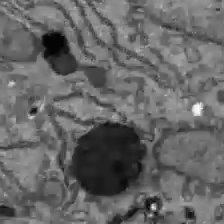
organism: C57BL Mouse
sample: Liver